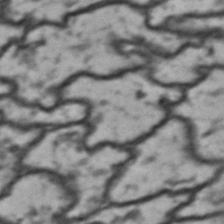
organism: Drosophila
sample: Brain